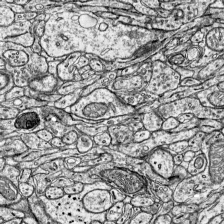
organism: Mouse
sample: Visual Cortex